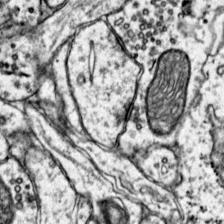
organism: Mouse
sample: Primary visual cortex